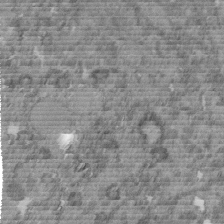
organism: C. elegans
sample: C. elegans embryo early stage